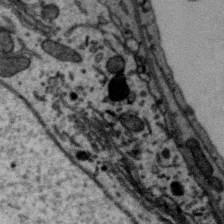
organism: Zebra finch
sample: Brain